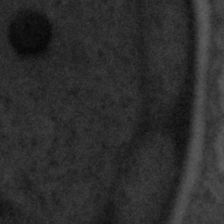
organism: Tuwongella immobilis